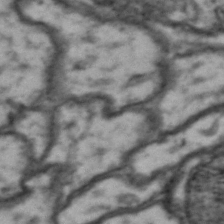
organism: Drosophila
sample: Brain